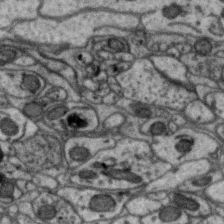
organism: Zebra finch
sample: Brain